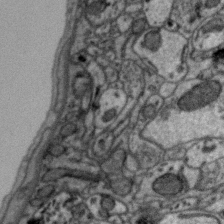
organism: Zebra finch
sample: Brain